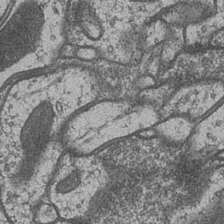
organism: Drosophila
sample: Optic medulla